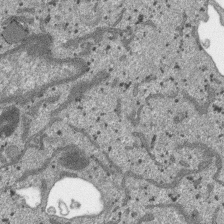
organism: Human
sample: Lung epithelial cells infected with SARS-CoV-2